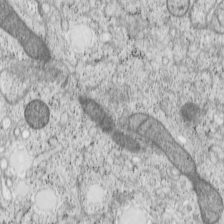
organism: African green monkey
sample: COS-7 cells